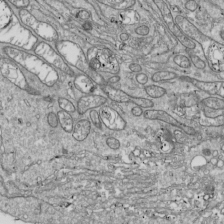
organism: Drosophila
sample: Cell division; meiosis; drosophila spermatocytes